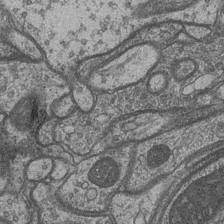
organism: Drosophila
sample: Optic medulla